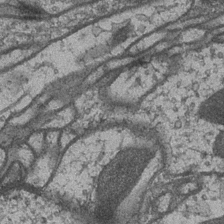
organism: Drosophila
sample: Optic medulla